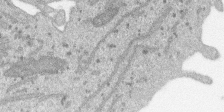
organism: Human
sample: Lung epithelial cells infected with SARS-CoV-2